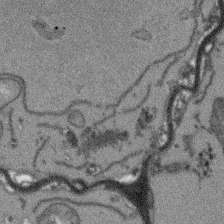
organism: Arabidopsis thaliana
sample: Root tip